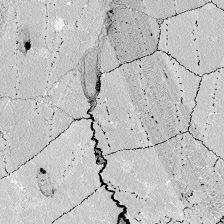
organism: Zebrafish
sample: Whole-Brain